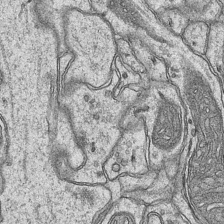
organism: Mouse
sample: CA1 Hippocampus